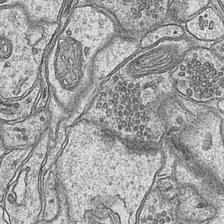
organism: Mouse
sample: CA1 Hippocampus